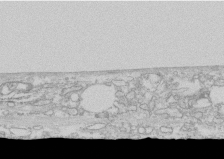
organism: Human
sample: CRL-1474